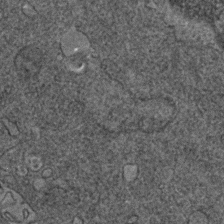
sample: Trachea